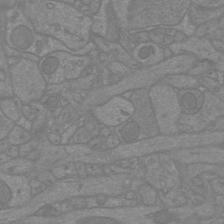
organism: Mouse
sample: Cortical neurons